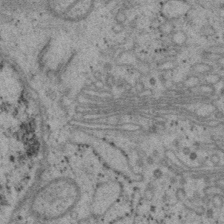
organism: Human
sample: HeLa cells